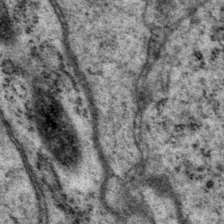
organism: P. pacificus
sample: Pharynx